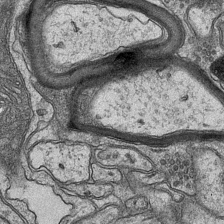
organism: Mouse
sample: CA1 Hippocampus